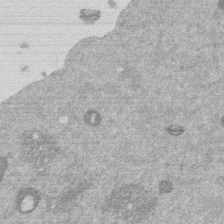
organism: Mouse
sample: Dividing mouse embryo 1 cell stage